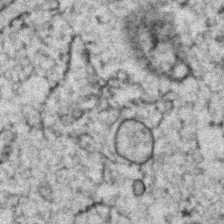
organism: Zebrafish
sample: Zebrafish embryo